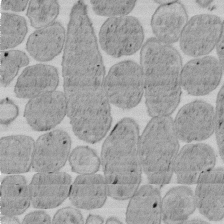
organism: E. coli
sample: Bacterial nucleoid